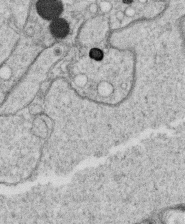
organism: C. elegans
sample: C. elegans oocyte; sperm cells